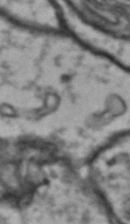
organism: Drosophila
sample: Brain